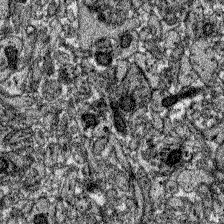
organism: Zebrafish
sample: Larval olfactory bulb